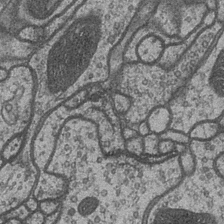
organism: Drosophila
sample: Optic medulla